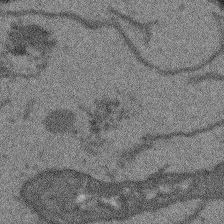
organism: Arabidopsis thaliana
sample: Root tip